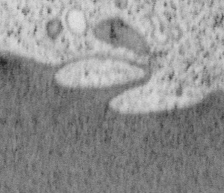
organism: Mouse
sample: OT-I killer T cells with ID8 ovarian cancer cells